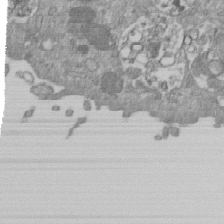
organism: Mouse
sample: ED-1 cell nuclei; centrioles